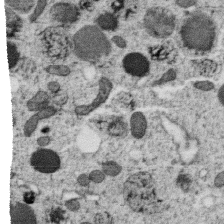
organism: C. elegans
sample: C. elegans oocyte; sperm cells